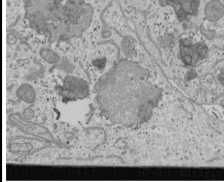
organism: Human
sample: Mitochondria in U2OS cells